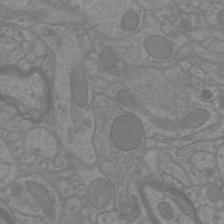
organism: Mouse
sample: Cortical neurons